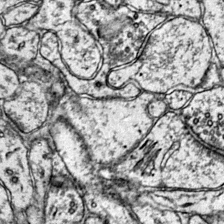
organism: Mouse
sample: Primary visual cortex